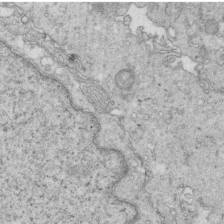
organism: Mouse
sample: Multiciliated cells